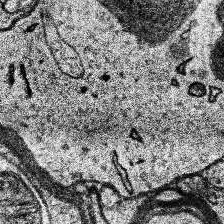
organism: Human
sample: Temporal Lobe